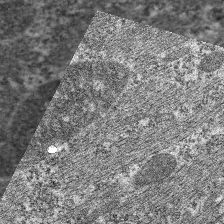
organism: C. elegans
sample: Pharynx